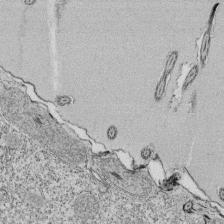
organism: Tetrahymena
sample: Cilia in tetrahymena